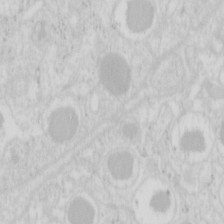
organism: Mouse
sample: Pancreas